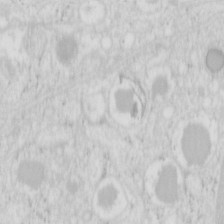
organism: Mouse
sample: Pancreas